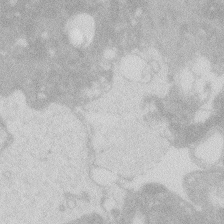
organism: Zebrafish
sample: Macrophage